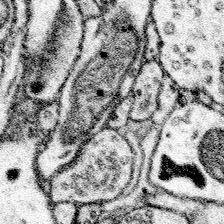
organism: Mouse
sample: Somatosensory cortex neuropil